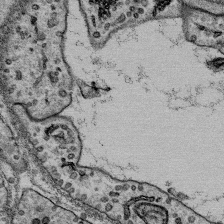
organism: Mouse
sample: Mouse Salivary gland